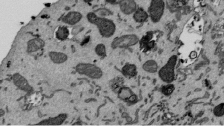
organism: Mouse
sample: ED-1 cell nuclei; centrioles